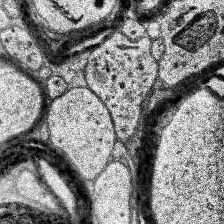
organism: Human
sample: Temporal Lobe